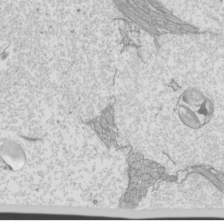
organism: Mouse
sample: Cilia; mouse epididymis